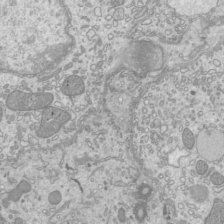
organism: Mouse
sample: Cilia; mouse epididymis